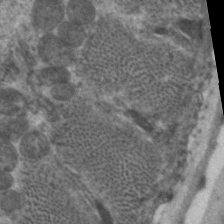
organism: C. elegans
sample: Pharynx